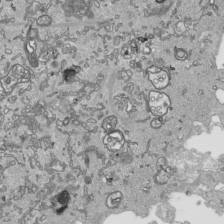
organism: Human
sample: Mitochondria in HCT116 cells